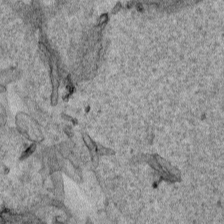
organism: Human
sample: Mitochondria in HCT116 cells